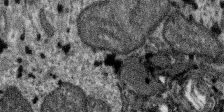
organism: Human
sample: Lung epithelial cells infected with SARS-CoV-2